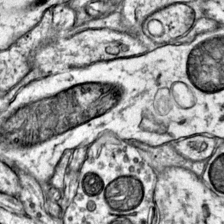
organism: Mouse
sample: Primary visual cortex